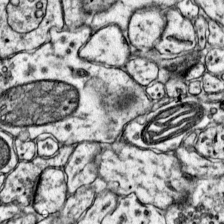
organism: Mouse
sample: Primary visual cortex